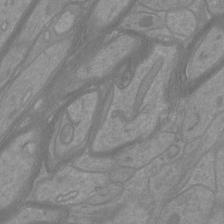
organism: Mouse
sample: Cortical neurons